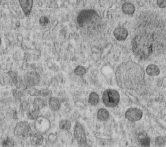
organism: C. elegans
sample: C. elegans embryo early stage